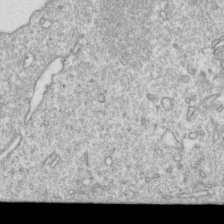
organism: Mouse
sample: Activated OT-1 CD8+ T cells